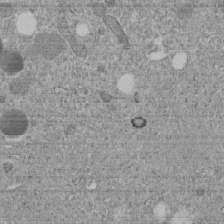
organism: C. elegans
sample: C. elegans embryo early stage